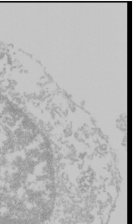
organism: Mouse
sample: Cancer cell death in ED-1 cells